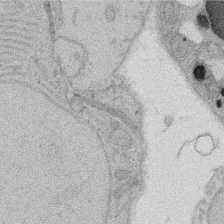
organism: Rat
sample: Salivary granule